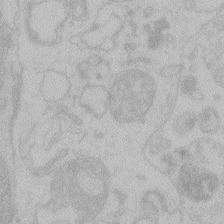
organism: Zebrafish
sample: Macrophage infected with Toxoplasma gondii